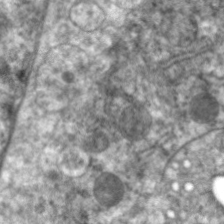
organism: C. elegans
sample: Pharynx